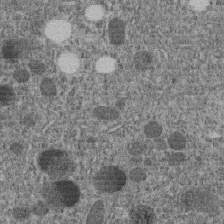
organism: C. elegans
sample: C. elegans embryo early stage